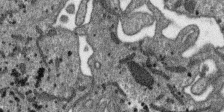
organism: Human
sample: Lung epithelial cells infected with SARS-CoV-2